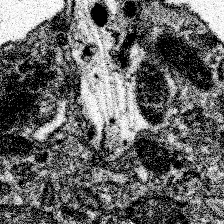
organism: Spongilla lacustris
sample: Neuroid cell